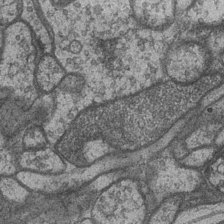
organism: Drosophila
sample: Optic medulla